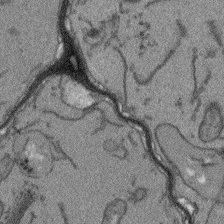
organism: Arabidopsis thaliana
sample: Root tip